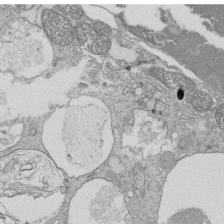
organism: Tetrahymena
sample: Cilia in tetrahymena